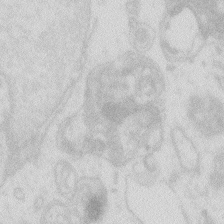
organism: Zebrafish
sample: Macrophage